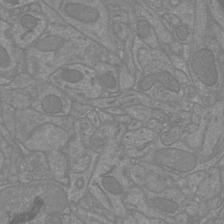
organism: Mouse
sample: Cortical neurons